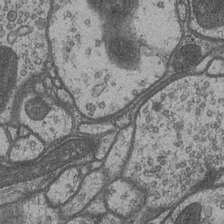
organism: Drosophila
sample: Optic medulla